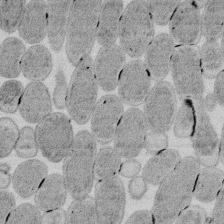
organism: E. coli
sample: Bacterial nucleoid